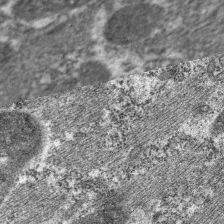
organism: C. elegans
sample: Pharynx